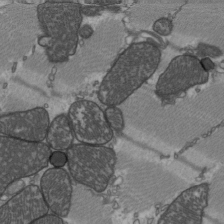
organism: C57BL Mouse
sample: Heart